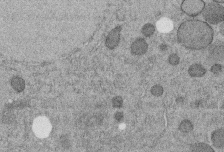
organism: C. elegans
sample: C. elegans embryo early stage